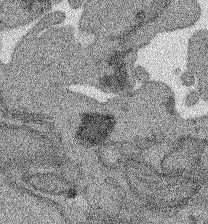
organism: Human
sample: HeLa cells